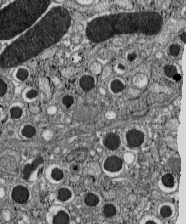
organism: C57BL Mouse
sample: Pancreatic islet